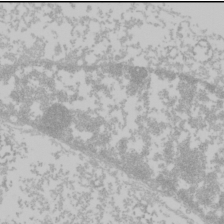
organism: Mouse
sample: Cancer cell death in ED-1 cells